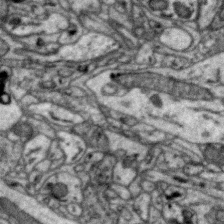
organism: Zebra finch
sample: Brain